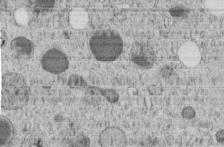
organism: C. elegans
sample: C. elegans embryo early stage